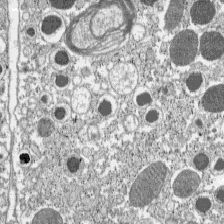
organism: C57BL Mouse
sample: Pancreatic islet